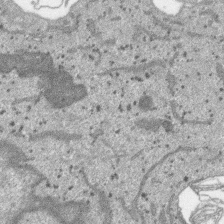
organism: Human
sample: Lung epithelial cells infected with SARS-CoV-2